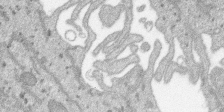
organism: Human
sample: Lung epithelial cells infected with SARS-CoV-2